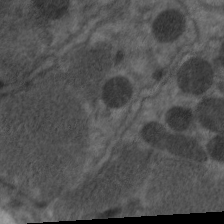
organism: C. elegans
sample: Pharynx